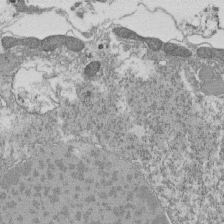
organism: Tetrahymena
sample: Cilia in tetrahymena